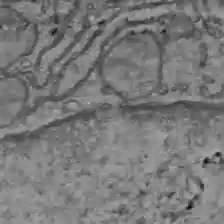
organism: C57BL Mouse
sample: Liver